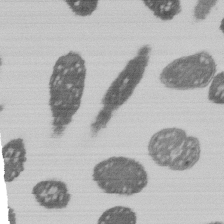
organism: E. coli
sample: Bacterial nucleoid